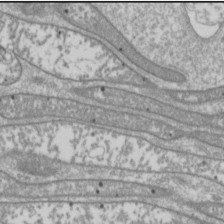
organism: Drosophila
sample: Cell division; meiosis; drosophila spermatocytes